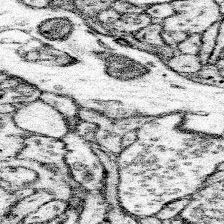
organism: Mouse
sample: Somatosensory cortex neuropil